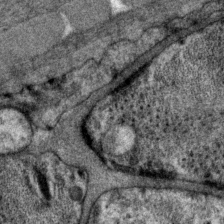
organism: P. pacificus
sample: Pharynx